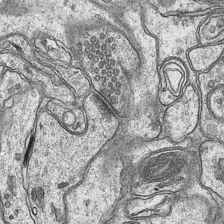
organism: Mouse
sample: CA1 Hippocampus